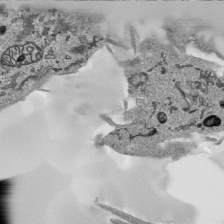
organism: Human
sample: Mitochondria in HCT116 cells